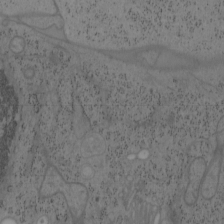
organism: Mouse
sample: OT-I killer T cells with ID8 ovarian cancer cells